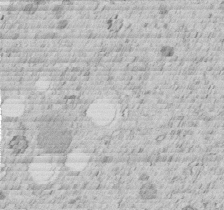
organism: C. elegans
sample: C. elegans embryo early stage